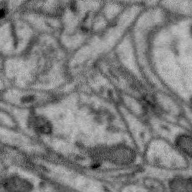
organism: Zebra finch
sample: Brain